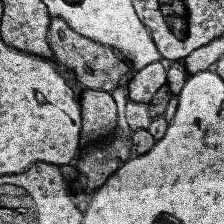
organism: Human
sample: Temporal Lobe